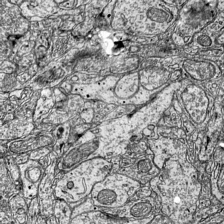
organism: Mouse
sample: Visual Cortex